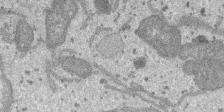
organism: Human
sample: Lung epithelial cells infected with SARS-CoV-2